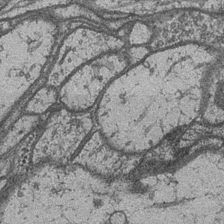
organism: Drosophila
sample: Optic medulla